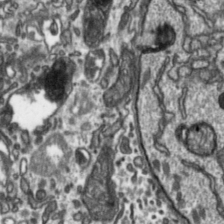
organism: Toxoplasma gondii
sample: Parasites in a vacuole inside a host cell